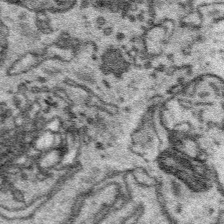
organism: Platynereis dumerilii